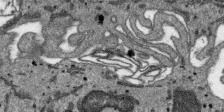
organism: Human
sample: Lung epithelial cells, uninfected (mock) control